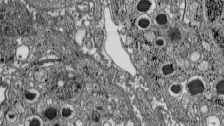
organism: C57BL Mouse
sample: Pancreatic islet